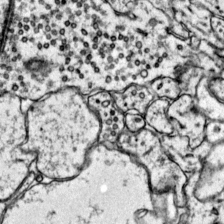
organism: Mouse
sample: Primary visual cortex